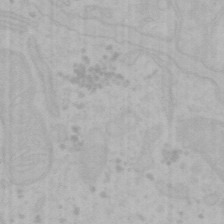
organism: Mouse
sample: Choroid plexus